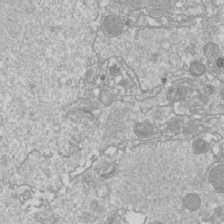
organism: Drosophila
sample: Cell division; meiosis; drosophila spermatocytes